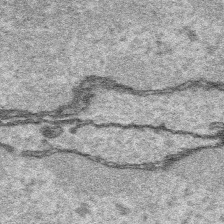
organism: Platynereis dumerilii